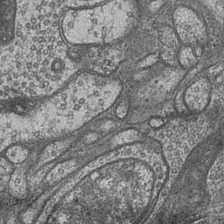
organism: Drosophila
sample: Optic medulla